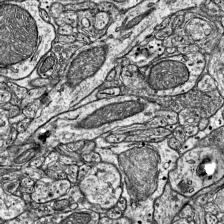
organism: Mouse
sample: Visual Cortex